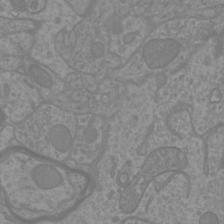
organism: Mouse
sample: Cortical neurons